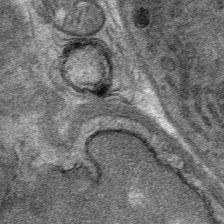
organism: Mouse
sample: Mouse Salivary gland